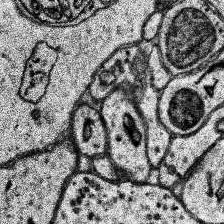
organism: Human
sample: Temporal Lobe